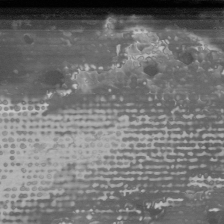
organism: Mouse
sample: Cancer cell death in ED-1 cells